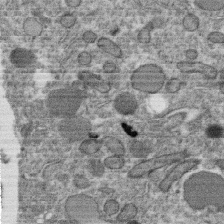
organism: C. elegans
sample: C. elegans oocyte; sperm cells